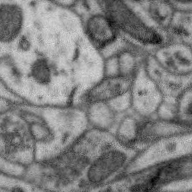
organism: Zebra finch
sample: Brain